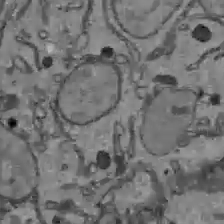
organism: C57BL Mouse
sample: Liver